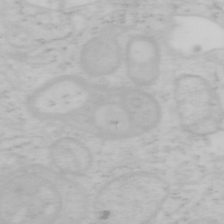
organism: Mouse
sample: OT-I killer T cells with ID8 ovarian cancer cells